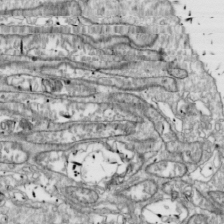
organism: Drosophila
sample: Cell division; meiosis; drosophila spermatocytes